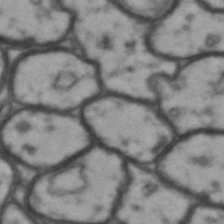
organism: Drosophila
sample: Brain